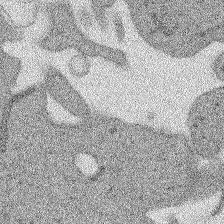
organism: Human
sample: HeLa cells